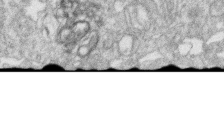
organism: Human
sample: HeLa cell HIV synapse